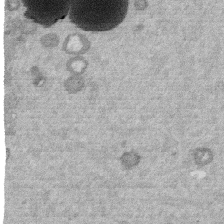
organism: Mouse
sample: Dividing mouse embryo 1 cell stage